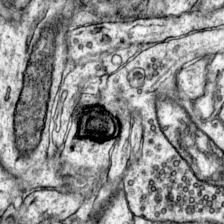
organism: Mouse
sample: Primary visual cortex